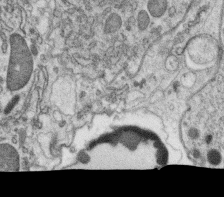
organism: C. elegans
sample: C. elegans oocyte; sperm cells